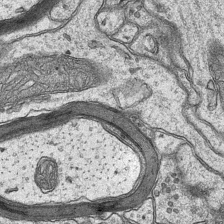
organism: Mouse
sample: CA1 Hippocampus